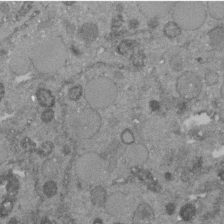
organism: C. elegans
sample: C. elegans embryo early stage